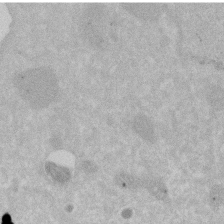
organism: Human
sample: HIV infected U937 cells